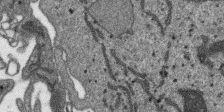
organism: Human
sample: Lung epithelial cells infected with SARS-CoV-2